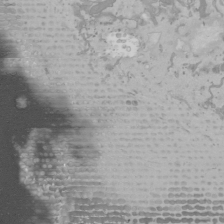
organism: Mouse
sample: Cancer cell death in ED-1 cells